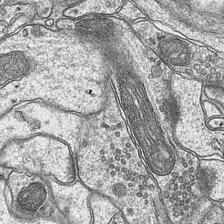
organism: Mouse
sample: CA1 Hippocampus